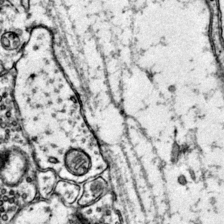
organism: Mouse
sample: Primary visual cortex